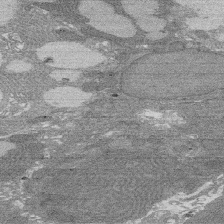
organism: Rat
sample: Salivary granule